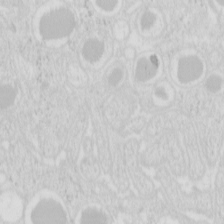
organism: Mouse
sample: Pancreas